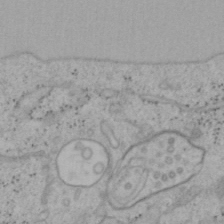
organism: Human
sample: HeLa cells